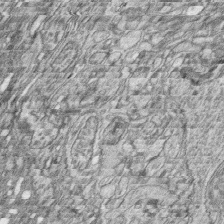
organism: Zebrafish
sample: synaptic ribbons in rod cells and cone cells